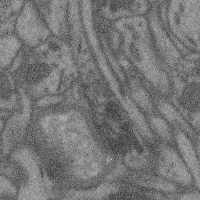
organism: Mouse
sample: Cerebral cortex